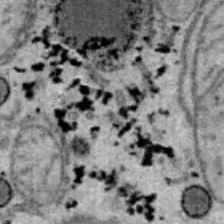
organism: Mouse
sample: Liver from an obese (ob/ob) mouse